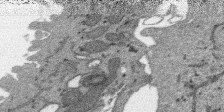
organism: Human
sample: Lung epithelial cells infected with SARS-CoV-2